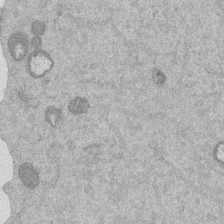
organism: Mouse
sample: Dividing mouse embryo 1 cell stage